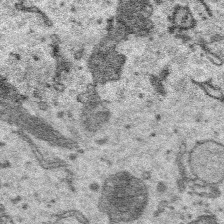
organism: Platynereis dumerilii